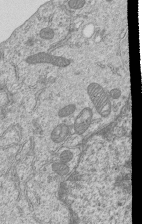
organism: Human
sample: MDA-MB-231 cells